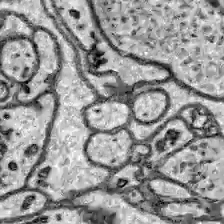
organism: Zebrafish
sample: Brain